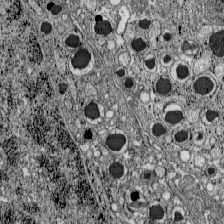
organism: C57BL Mouse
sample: Pancreatic islet